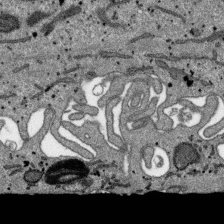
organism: Human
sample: Lung epithelial cells, uninfected (mock) control